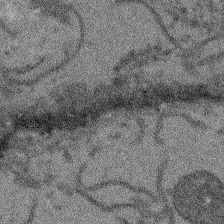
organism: Arabidopsis thaliana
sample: Root tip